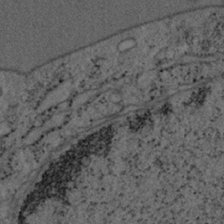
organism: Human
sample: HeLa cells